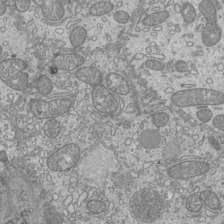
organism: Mouse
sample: Cilia; mouse epididymis